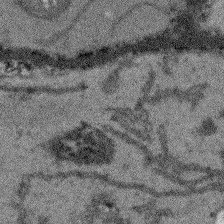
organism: Arabidopsis thaliana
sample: Root tip